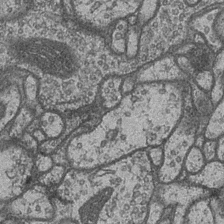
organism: Drosophila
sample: Optic medulla